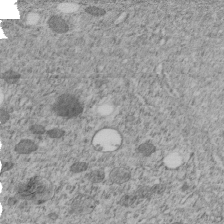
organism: C. elegans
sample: C. elegans embryo early stage